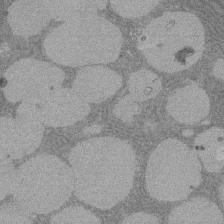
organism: Rat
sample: Salivary granule